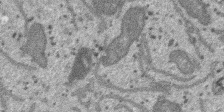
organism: Human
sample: Lung epithelial cells infected with SARS-CoV-2